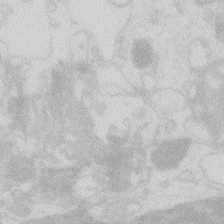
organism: Zebrafish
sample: Macrophage